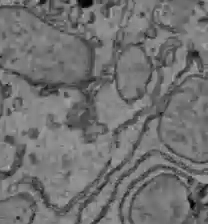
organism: C57BL Mouse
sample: Liver